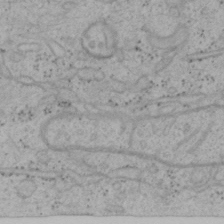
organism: Human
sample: HeLa cells